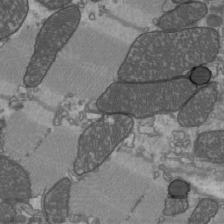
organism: C57BL Mouse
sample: Heart